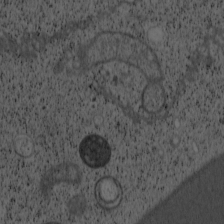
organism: African green monkey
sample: COS-7 cells